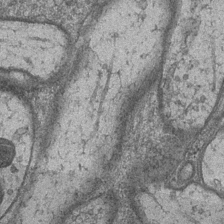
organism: Drosophila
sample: Optic medulla